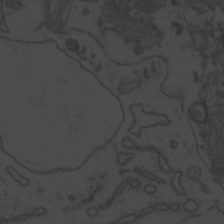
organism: Zebrafish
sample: Macrophage infected with Toxoplasma gondii